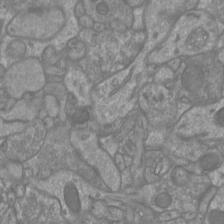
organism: Mouse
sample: Cortical neurons